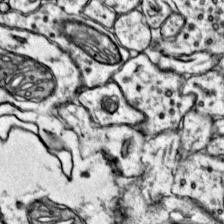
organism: Mouse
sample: Primary visual cortex